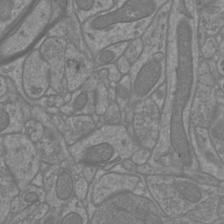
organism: Mouse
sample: Cortical neurons